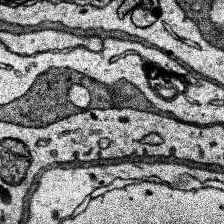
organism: Human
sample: Temporal Lobe